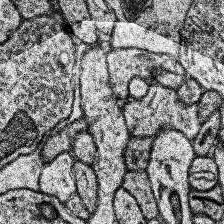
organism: Human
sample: Temporal Lobe